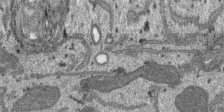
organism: Human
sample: Lung epithelial cells infected with SARS-CoV-2